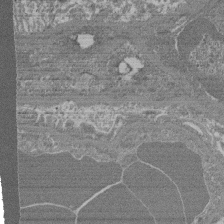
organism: Mouse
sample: Glomerulus